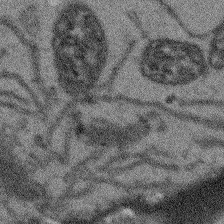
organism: Arabidopsis thaliana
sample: Root tip